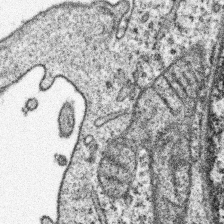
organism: Human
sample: HeLa cells